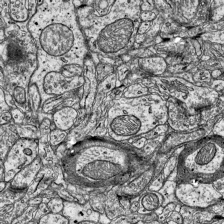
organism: Mouse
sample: Visual Cortex